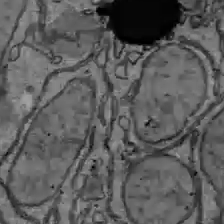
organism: C57BL Mouse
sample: Liver